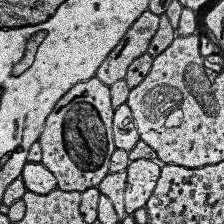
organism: Human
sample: Temporal Lobe